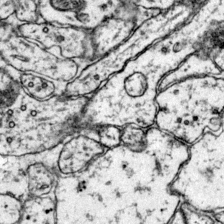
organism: Mouse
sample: Primary visual cortex